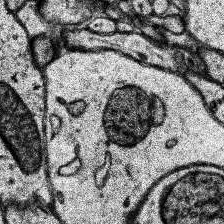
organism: Human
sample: Temporal Lobe